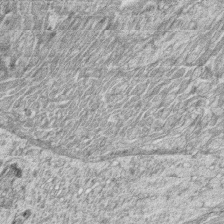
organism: Zebrafish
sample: synaptic ribbons in rod cells and cone cells